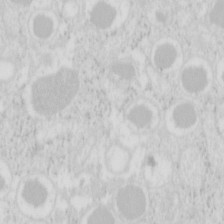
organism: Mouse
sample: Pancreas